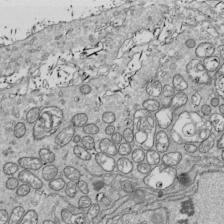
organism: Drosophila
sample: Cell division; meiosis; drosophila spermatocytes